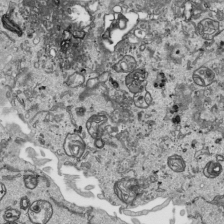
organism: Human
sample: Mitochondria in HCT116 cells